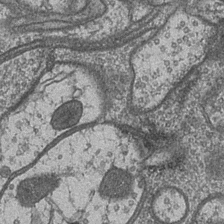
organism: Drosophila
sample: Optic medulla